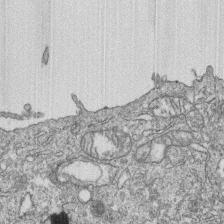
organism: Human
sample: HeLa cell HIV synapse